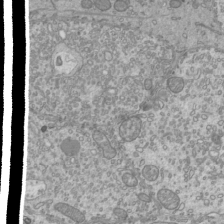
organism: Mouse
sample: Cilia; mouse epididymis